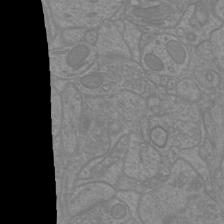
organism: Mouse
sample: Cortical neurons